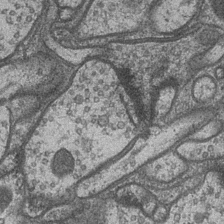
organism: Drosophila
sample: Optic medulla